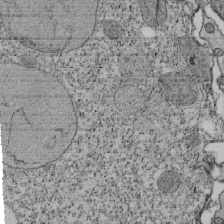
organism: Tetrahymena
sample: Cilia in tetrahymena